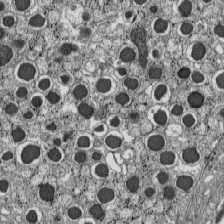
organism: C57BL Mouse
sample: Pancreatic islet